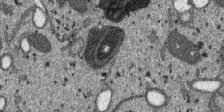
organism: Human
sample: Lung epithelial cells infected with SARS-CoV-2